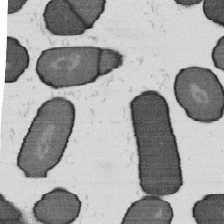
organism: B. subtilis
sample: Bacterial spore